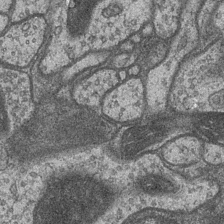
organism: Drosophila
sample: Optic medulla